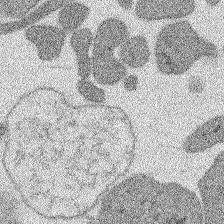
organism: Human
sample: HeLa cells